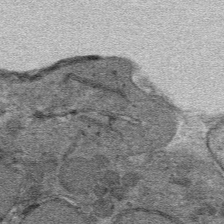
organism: Mouse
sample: Mouse hepatocytes